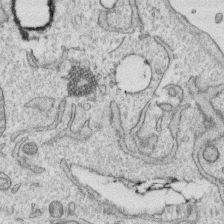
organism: Human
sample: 1205lu cells